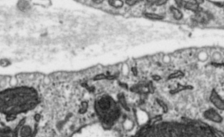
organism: Toxoplasma gondii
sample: Parasites in a vacuole inside a host cell